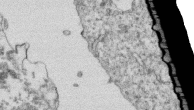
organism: Human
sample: HeLa cell HIV synapse